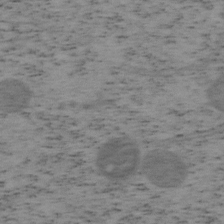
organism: Mouse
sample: OT-I killer T cells with ID8 ovarian cancer cells